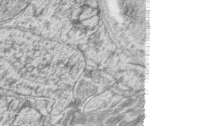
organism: Zebrafish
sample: synaptic ribbons in rod cells and cone cells